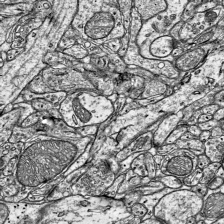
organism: Mouse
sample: Visual Cortex